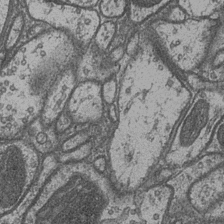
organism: Drosophila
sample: Optic medulla